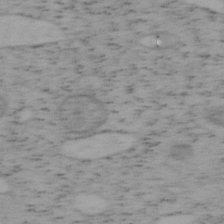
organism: Mouse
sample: OT-I killer T cells with ID8 ovarian cancer cells